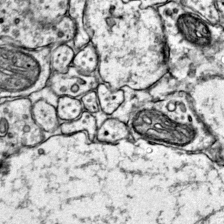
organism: Mouse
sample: Primary visual cortex